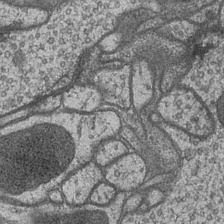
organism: Drosophila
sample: Optic medulla